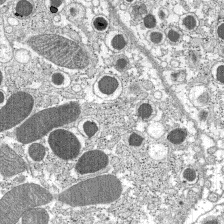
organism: C57BL Mouse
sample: Pancreatic islet